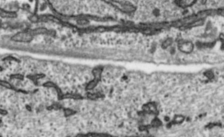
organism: Toxoplasma gondii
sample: Parasites in a vacuole inside a host cell